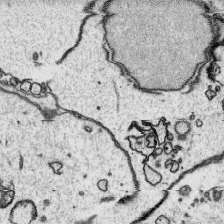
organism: Platynereis dumerilii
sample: Parapodia